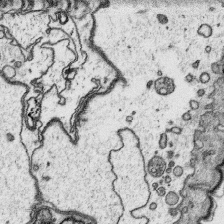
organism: Platynereis dumerilii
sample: Parapodia